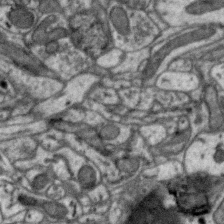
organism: Zebra finch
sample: Brain